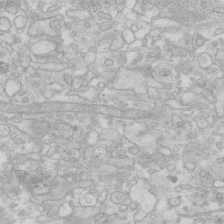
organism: Human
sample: Fibroblast cells